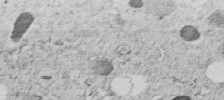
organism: C. elegans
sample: C. elegans embryo early stage